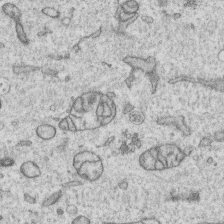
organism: Human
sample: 1205lu cells